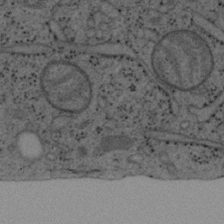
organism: Human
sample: HeLa cells